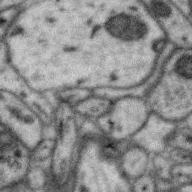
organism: Zebra finch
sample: Brain